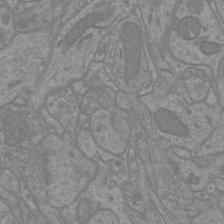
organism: Mouse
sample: Cortical neurons